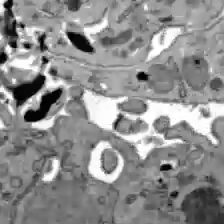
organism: C57BL Mouse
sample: Liver